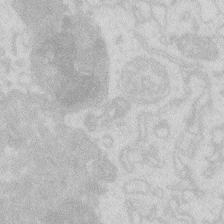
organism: Zebrafish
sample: Macrophage